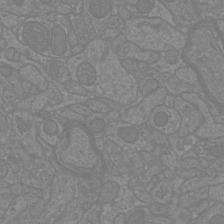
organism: Mouse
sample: Cortical neurons